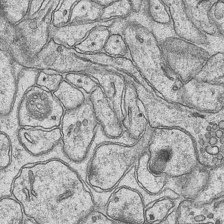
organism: Mouse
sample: CA1 Hippocampus